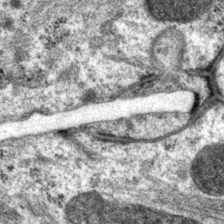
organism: P. pacificus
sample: Pharynx